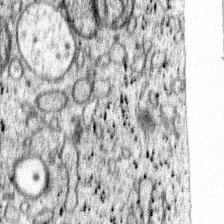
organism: Human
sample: HeLa cells